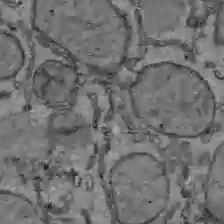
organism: C57BL Mouse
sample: Liver